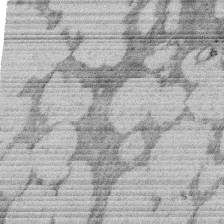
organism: Rat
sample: Salivary granule